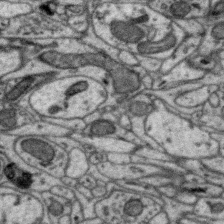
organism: Zebra finch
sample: Brain